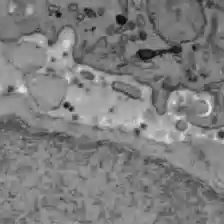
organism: C57BL Mouse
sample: Liver